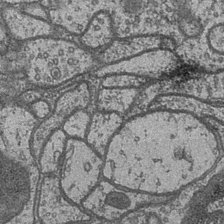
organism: Drosophila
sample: Optic medulla